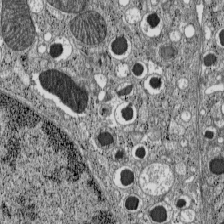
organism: C57BL Mouse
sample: Pancreatic islet